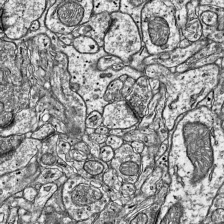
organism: Mouse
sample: Visual Cortex